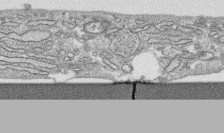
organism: Human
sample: CRL-1474